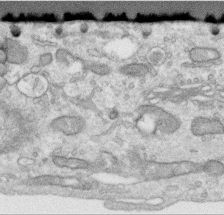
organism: Human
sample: Centriole in RPE cells